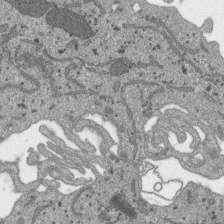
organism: Human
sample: Lung epithelial cells infected with SARS-CoV-2